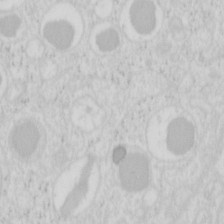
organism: Mouse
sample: Pancreas